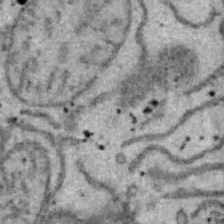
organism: Mouse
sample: Liver from an obese (ob/ob) mouse